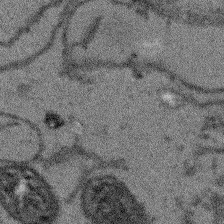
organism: Arabidopsis thaliana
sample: Root tip